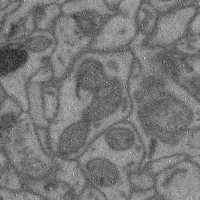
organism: Mouse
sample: Cerebral cortex